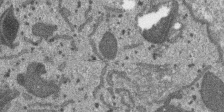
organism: Human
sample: Lung epithelial cells infected with SARS-CoV-2